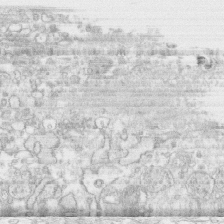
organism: Human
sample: CRL-1474